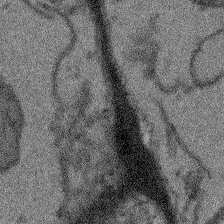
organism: Arabidopsis thaliana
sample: Root tip